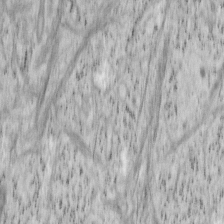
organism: Human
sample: HeLa cells